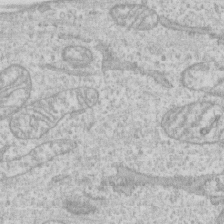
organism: Human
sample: CRL-1474